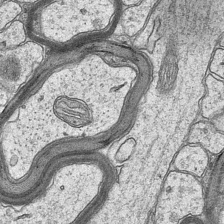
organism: Mouse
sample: CA1 Hippocampus